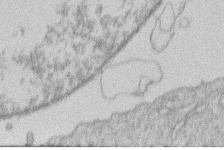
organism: Human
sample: Macrophage cells